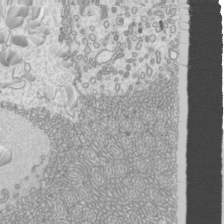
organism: Mouse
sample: Cilia; mouse epididymis